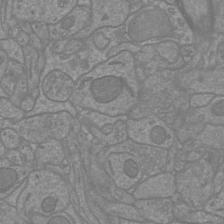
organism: Mouse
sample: Cortical neurons